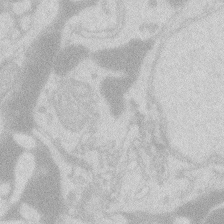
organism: Zebrafish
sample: Macrophage